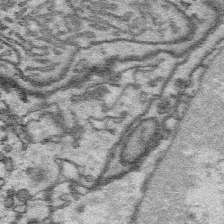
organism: Platynereis dumerilii